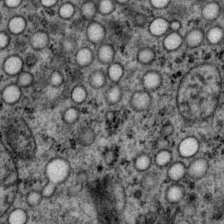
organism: P. pacificus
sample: Pharynx